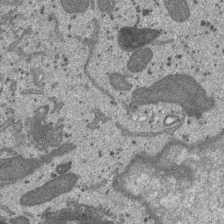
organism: Human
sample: Lung epithelial cells infected with SARS-CoV-2